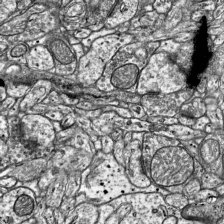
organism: Mouse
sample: Visual Cortex